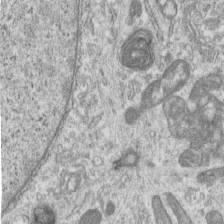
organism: Human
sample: Centriole in RPE cells